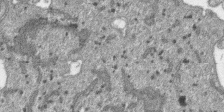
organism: Human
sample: Lung epithelial cells infected with SARS-CoV-2